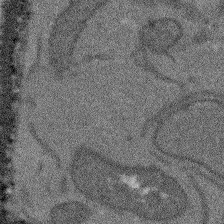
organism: Arabidopsis thaliana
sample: Root tip